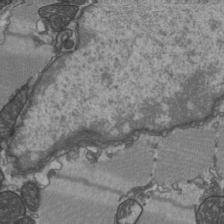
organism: C57BL Mouse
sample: Heart